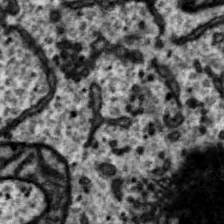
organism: Human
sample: HeLa cells